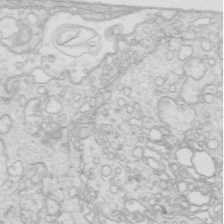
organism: Mouse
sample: Multiciliated cells